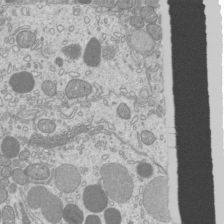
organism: Mouse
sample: Cilia; mouse epididymis